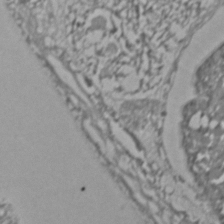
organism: C. elegans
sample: C. elegans embryo